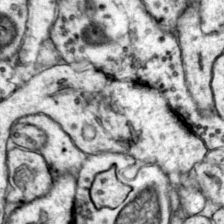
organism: Mouse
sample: Primary visual cortex